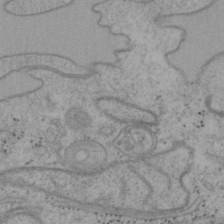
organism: Human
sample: HeLa cells